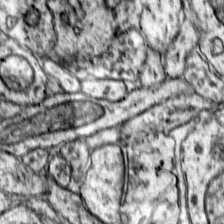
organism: Mouse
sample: Primary visual cortex